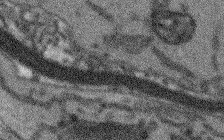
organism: Arabidopsis thaliana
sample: Root tip